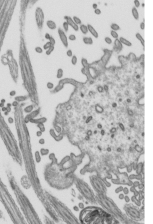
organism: Mouse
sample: Mouse epididymis efferent ductule cilia